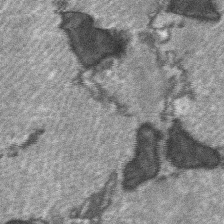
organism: C57BL Mouse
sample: Soleus